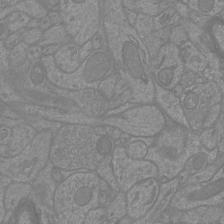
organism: Mouse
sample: Cortical neurons